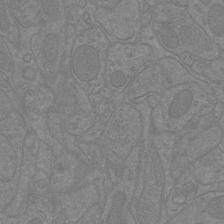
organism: Mouse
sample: Cortical neurons